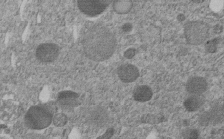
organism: C. elegans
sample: C. elegans embryo early stage